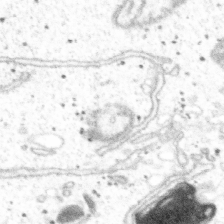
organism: Human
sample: HeLa cells